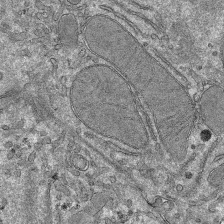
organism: Mouse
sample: Mouse hepatocytes